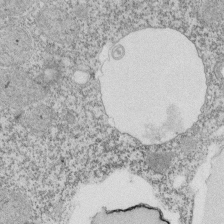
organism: Tetrahymena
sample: Cilia in tetrahymena